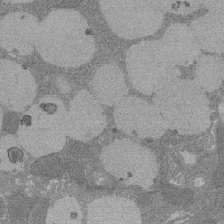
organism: Rat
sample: Salivary granule